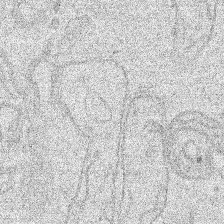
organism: Human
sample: Mitochondria in HCT116 cells